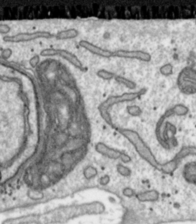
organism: Toxoplasma gondii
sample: Parasites in a vacuole inside a host cell